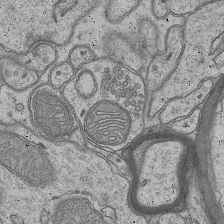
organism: Mouse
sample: CA1 Hippocampus